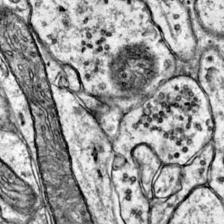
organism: Mouse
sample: Primary visual cortex